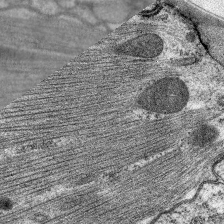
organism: C. elegans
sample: Pharynx